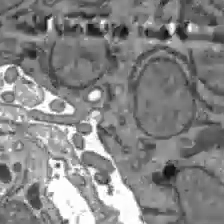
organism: C57BL Mouse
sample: Liver